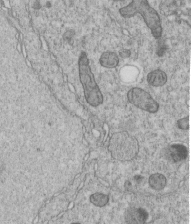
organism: C. elegans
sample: C. elegans embryo early stage